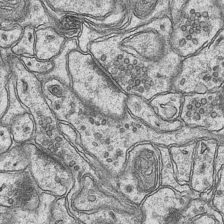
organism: Mouse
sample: CA1 Hippocampus